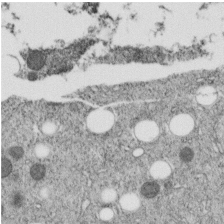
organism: C. elegans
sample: C. elegans embryo early stage